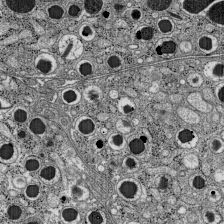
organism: C57BL Mouse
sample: Pancreatic islet